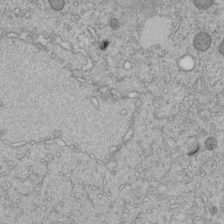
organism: C. elegans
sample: C. elegans embryo early stage